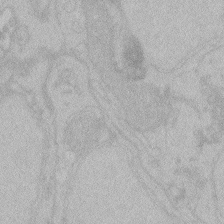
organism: Zebrafish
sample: Macrophage infected with Toxoplasma gondii